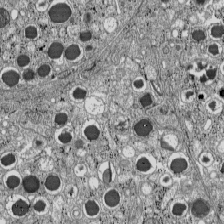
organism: C57BL Mouse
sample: Pancreatic islet